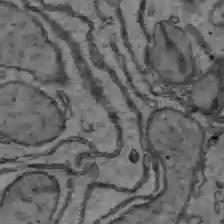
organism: C57BL Mouse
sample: Liver